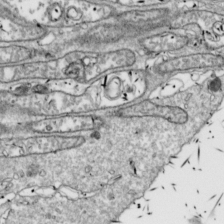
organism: Drosophila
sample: Cell division; meiosis; drosophila spermatocytes